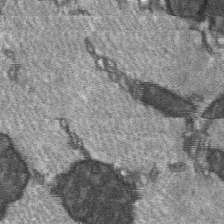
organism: C57BL Mouse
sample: Soleus